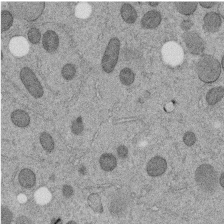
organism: C. elegans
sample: C. elegans embryo early stage